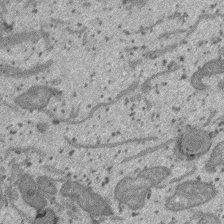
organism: Human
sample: Lung epithelial cells infected with SARS-CoV-2